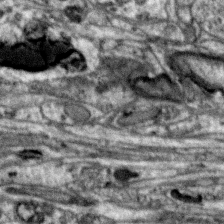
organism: Zebra finch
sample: Brain